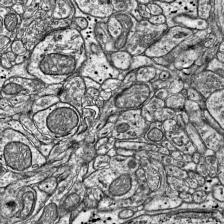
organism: Mouse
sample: Visual Cortex